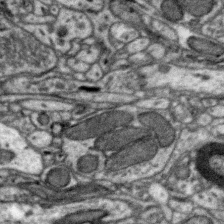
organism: Zebra finch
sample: Brain